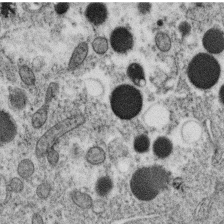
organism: C. elegans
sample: C. elegans oocyte; sperm cells